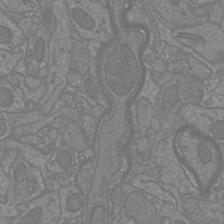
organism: Mouse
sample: Cortical neurons